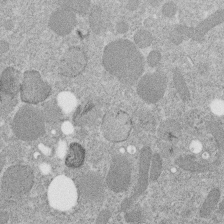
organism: C. elegans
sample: C. elegans embryo early stage